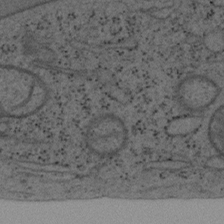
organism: Human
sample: HeLa cells